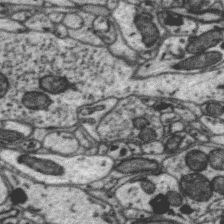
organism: Zebra finch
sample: Brain